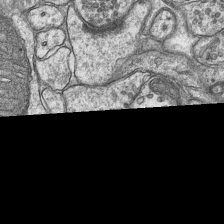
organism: Mouse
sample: CA1 Hippocampus